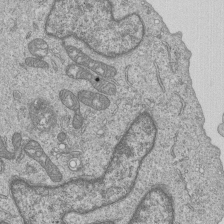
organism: Human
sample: MDA-MB-231 cells